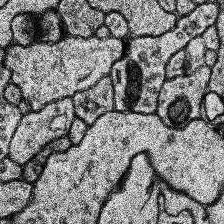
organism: Human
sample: Temporal Lobe